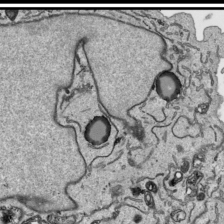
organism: Human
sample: Mitochondria in HCT116 cells